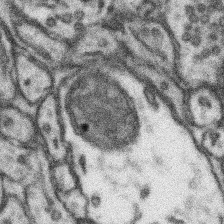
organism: Mouse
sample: Somatosensory cortex neuropil